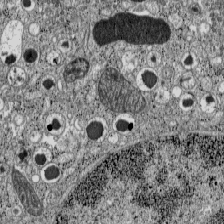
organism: C57BL Mouse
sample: Pancreatic islet